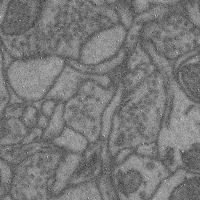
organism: Mouse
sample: Cerebral cortex